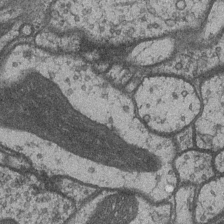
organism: Drosophila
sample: Optic medulla